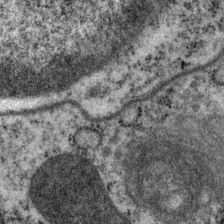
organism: P. pacificus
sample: Pharynx